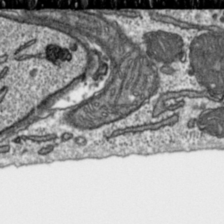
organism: Toxoplasma gondii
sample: Parasites in a vacuole inside a host cell